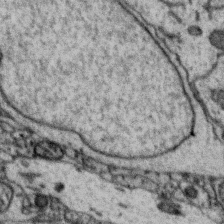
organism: Zebra finch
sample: Brain